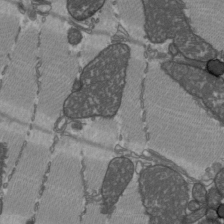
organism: C57BL Mouse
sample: Heart